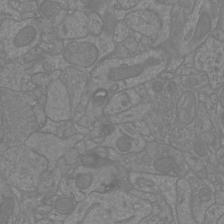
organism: Mouse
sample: Cortical neurons